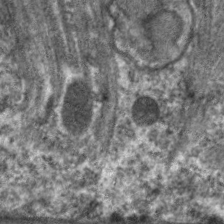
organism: C. elegans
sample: Pharynx